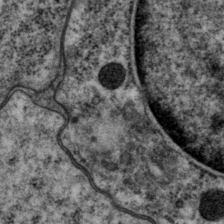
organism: P. pacificus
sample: Pharynx